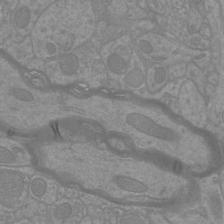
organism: Mouse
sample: Cortical neurons